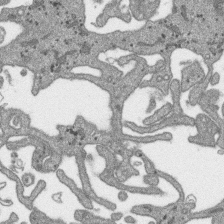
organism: Human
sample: Lung epithelial cells infected with SARS-CoV-2